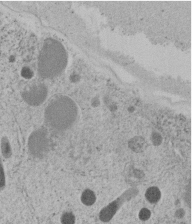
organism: C. elegans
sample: C. elegans embryo early stage